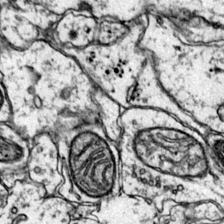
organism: Mouse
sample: Primary visual cortex